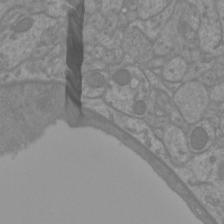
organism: Mouse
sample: Cortical neurons